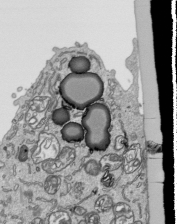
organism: Human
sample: Mitochondria in HCT116 cells